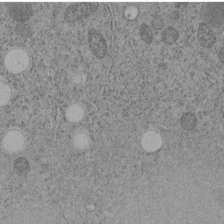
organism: C. elegans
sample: C. elegans embryo early stage